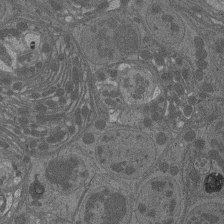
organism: Drosophila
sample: Antenna